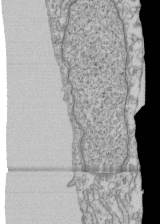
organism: Human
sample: Fibroblast cells